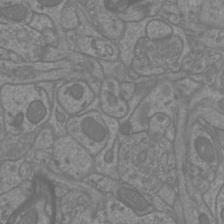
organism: Mouse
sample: Cortical neurons